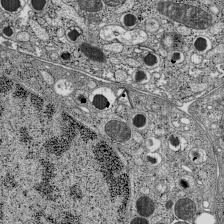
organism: C57BL Mouse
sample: Pancreatic islet